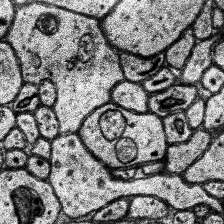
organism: Human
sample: Temporal Lobe